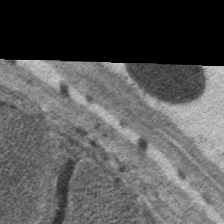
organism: C. elegans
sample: Pharynx